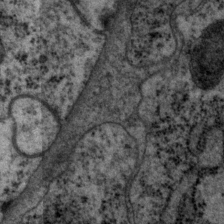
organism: P. pacificus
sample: Pharynx